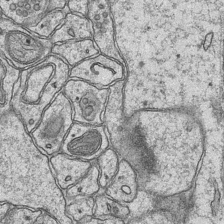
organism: Mouse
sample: CA1 Hippocampus